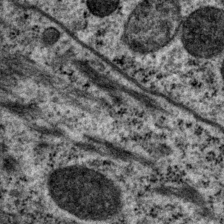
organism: P. pacificus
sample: Pharynx